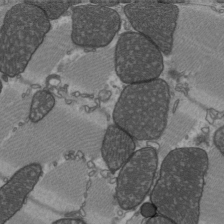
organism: C57BL Mouse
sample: Heart